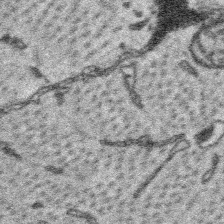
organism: Platynereis dumerilii